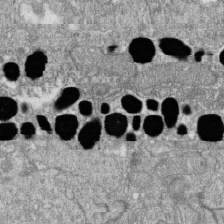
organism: Zebrafish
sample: Cilia; retinal pigment epithelium